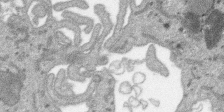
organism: Human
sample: Lung epithelial cells infected with SARS-CoV-2